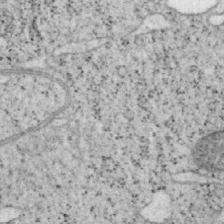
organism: Mouse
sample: OT-I killer T cells with ID8 ovarian cancer cells